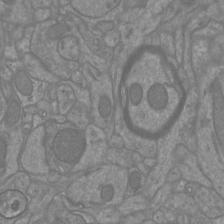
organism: Mouse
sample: Cortical neurons